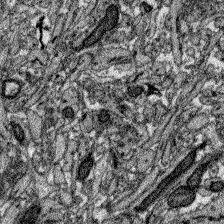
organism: Zebrafish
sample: Larval olfactory bulb